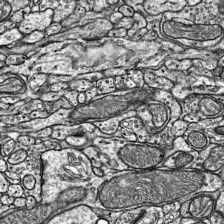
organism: Mouse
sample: Visual Cortex